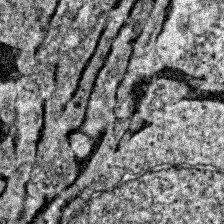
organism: Zebrafish